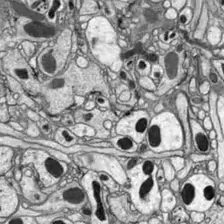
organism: Drosophila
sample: Optic lobe